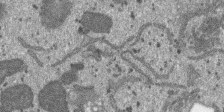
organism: Human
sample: Lung epithelial cells infected with SARS-CoV-2